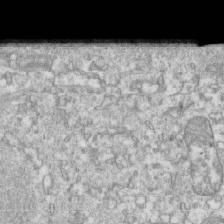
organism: Mouse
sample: Activated OT-1 CD8+ T cells